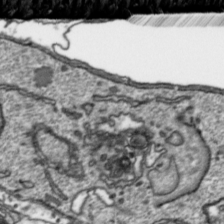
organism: Toxoplasma gondii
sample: Parasites in a vacuole inside a host cell